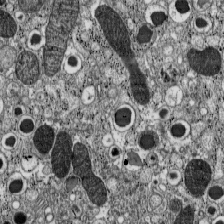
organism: C57BL Mouse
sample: Pancreatic islet